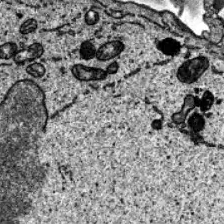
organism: Human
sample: HeLa cells